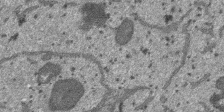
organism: Human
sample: Lung epithelial cells infected with SARS-CoV-2